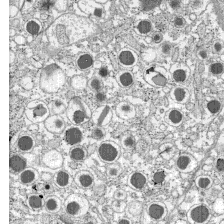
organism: C57BL Mouse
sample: Pancreatic islet